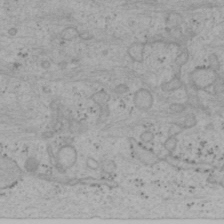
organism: Human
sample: HeLa cells